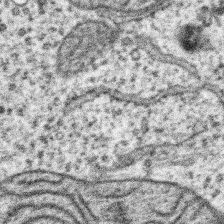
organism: Human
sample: HeLa cells